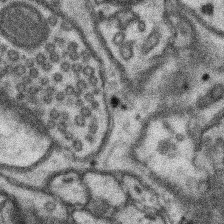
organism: Mouse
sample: Somatosensory cortex neuropil